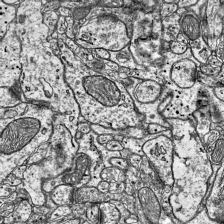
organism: Mouse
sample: Visual Cortex